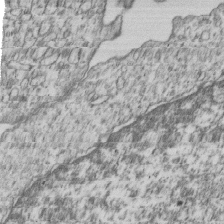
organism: Human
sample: MDA-MB-231 cells